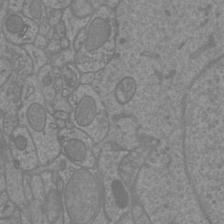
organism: Mouse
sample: Cortical neurons